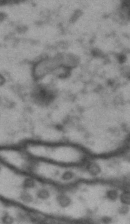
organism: Drosophila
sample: Brain